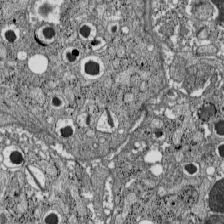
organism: C57BL Mouse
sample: Pancreatic islet